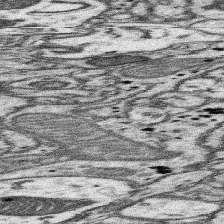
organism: Mouse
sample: Somatosensory cortex neuropil